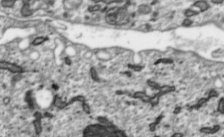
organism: Toxoplasma gondii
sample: Parasites in a vacuole inside a host cell